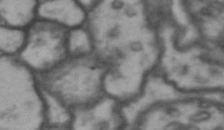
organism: Drosophila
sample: Brain